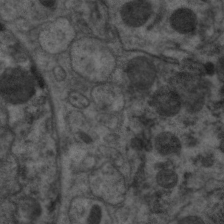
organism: C. elegans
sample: Pharynx